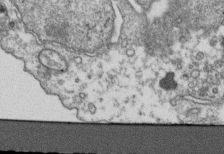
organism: Human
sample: Activated Jurkat CD4+ T cells